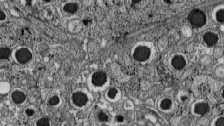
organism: C57BL Mouse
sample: Pancreatic islet